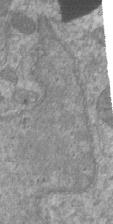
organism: Mouse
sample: ED-1 cell nuclei; centrioles